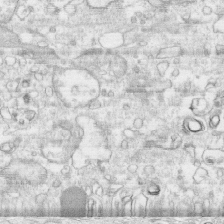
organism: Human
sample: CRL-1474